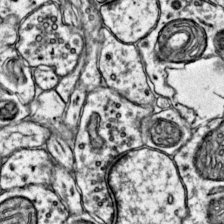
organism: Mouse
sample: Primary visual cortex